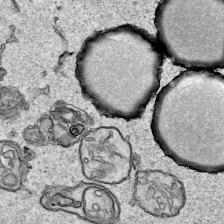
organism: Human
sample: Mitochondria in HCT116 cells